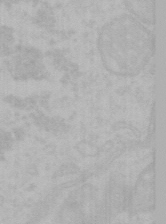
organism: Mouse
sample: Choroid plexus